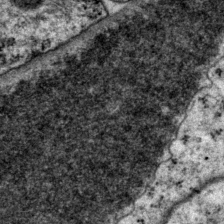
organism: P. pacificus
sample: Pharynx